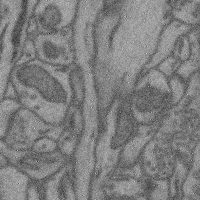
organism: Mouse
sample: Cerebral cortex